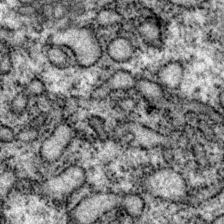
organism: P. pacificus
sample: Pharynx